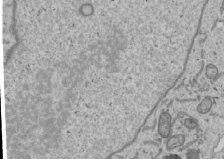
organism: Human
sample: Mitochondria in U2OS cells